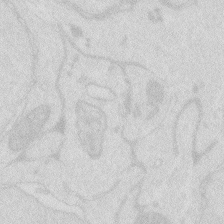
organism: Zebrafish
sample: Macrophage